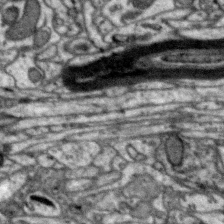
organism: Zebra finch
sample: Brain